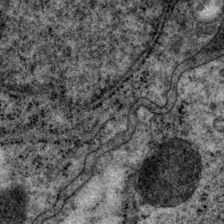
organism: P. pacificus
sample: Pharynx